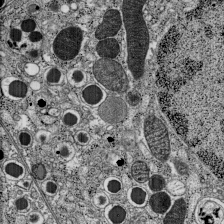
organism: C57BL Mouse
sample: Pancreatic islet